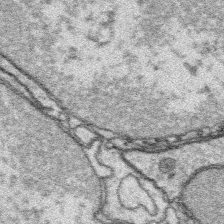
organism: Platynereis dumerilii